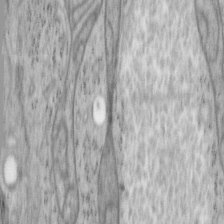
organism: Human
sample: HeLa cells